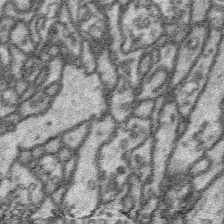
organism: Platynereis dumerilii